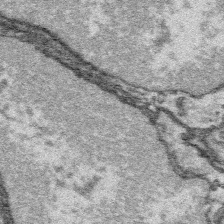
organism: Platynereis dumerilii